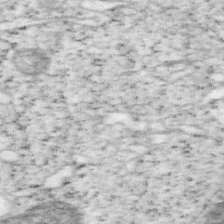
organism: Mouse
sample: OT-I killer T cells with ID8 ovarian cancer cells